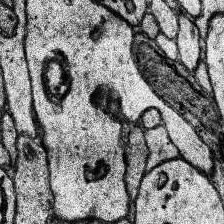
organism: Human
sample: Temporal Lobe